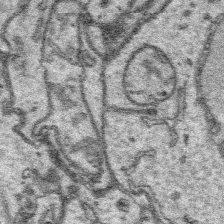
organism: Platynereis dumerilii